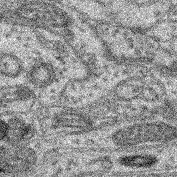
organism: Mouse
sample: Retina